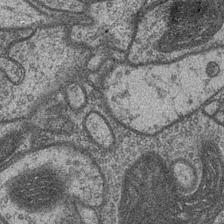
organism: Drosophila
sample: Optic medulla